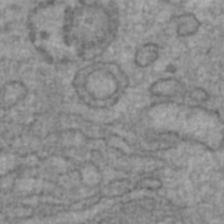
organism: Human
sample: Blood